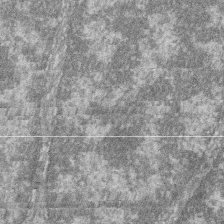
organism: Zebrafish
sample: Cilia; retinal pigment epithelium